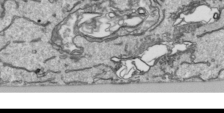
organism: Human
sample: Mitochondria in HCT116 cells